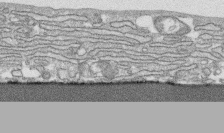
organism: Human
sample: CRL-1474